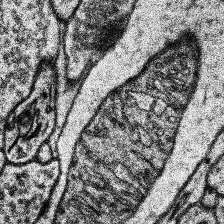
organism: Human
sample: Temporal Lobe